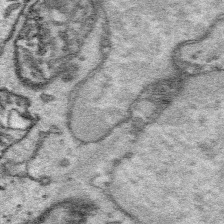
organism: Platynereis dumerilii